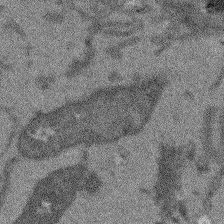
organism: Arabidopsis thaliana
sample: Root tip